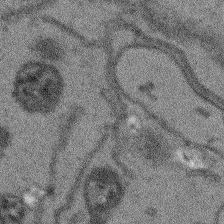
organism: Arabidopsis thaliana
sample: Root tip